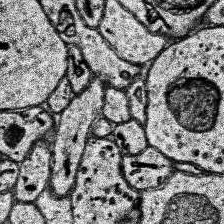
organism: Human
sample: Temporal Lobe